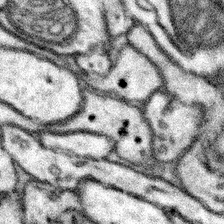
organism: Mouse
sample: Somatosensory cortex neuropil